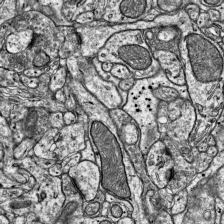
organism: Mouse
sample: Visual Cortex